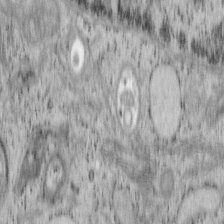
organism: Human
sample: HeLa cells